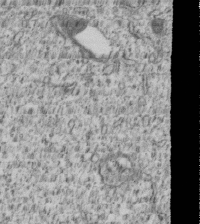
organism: Human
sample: MDA-MB-231 cells